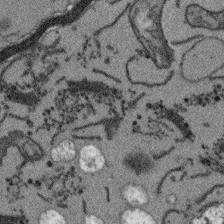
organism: Arabidopsis thaliana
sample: Root tip